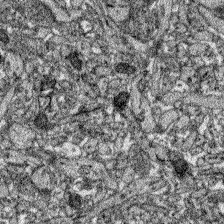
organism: Zebrafish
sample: Larval olfactory bulb